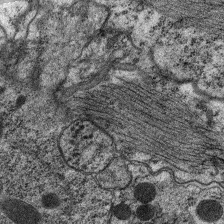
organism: C. elegans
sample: Pharynx